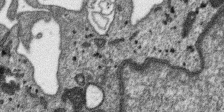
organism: Human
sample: Lung epithelial cells infected with SARS-CoV-2